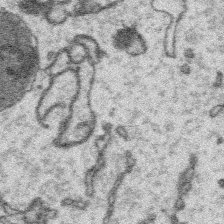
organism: Platynereis dumerilii